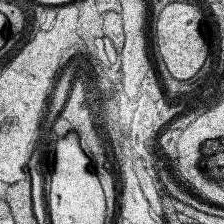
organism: Human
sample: Temporal Lobe